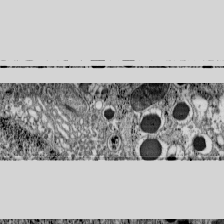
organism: C57BL Mouse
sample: Pancreatic islet